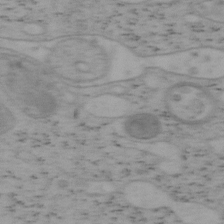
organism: Mouse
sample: OT-I killer T cells with ID8 ovarian cancer cells